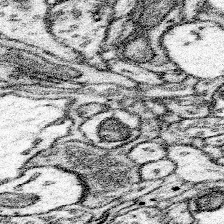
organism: Mouse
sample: Somatosensory cortex neuropil